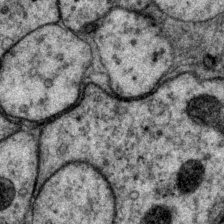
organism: P. pacificus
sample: Pharynx